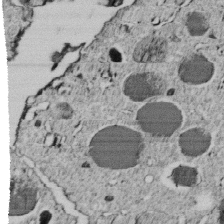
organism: C. elegans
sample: C. elegans embryo early stage